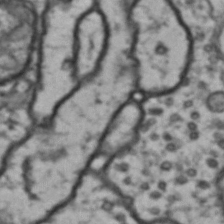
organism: Drosophila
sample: Brain